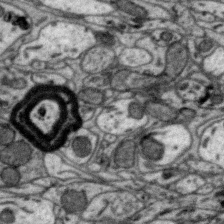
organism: Zebra finch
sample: Brain